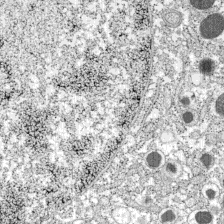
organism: C57BL Mouse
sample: Pancreatic islet